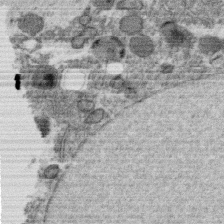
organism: C. elegans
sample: C. elegans oocyte; sperm cells